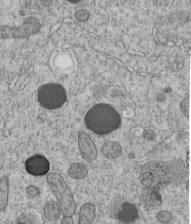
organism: C. elegans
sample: C. elegans embryo early stage